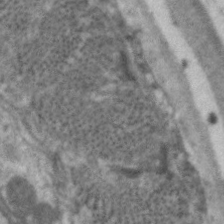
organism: C. elegans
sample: Pharynx